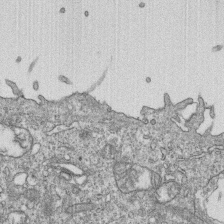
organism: Human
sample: HeLa cell HIV synapse